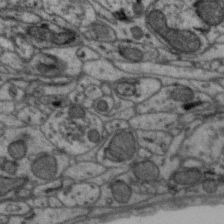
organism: Zebra finch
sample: Brain